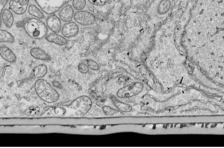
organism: Drosophila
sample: Cell division; meiosis; drosophila spermatocytes